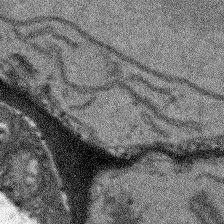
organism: Arabidopsis thaliana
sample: Root tip